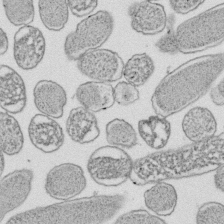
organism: E. coli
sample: Bacterial nucleoid